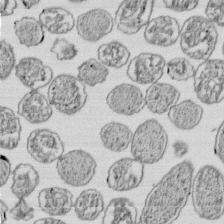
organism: E. coli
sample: Bacterial nucleoid